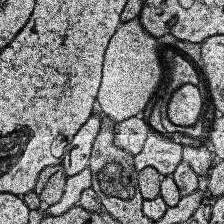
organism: Human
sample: Temporal Lobe